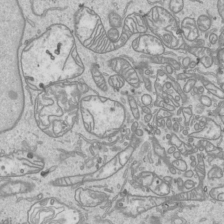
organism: Human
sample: Mitochondria in HCT116 cells